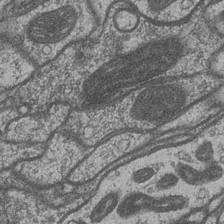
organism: Drosophila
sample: Optic medulla